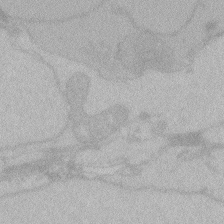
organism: Zebrafish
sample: Macrophage infected with Toxoplasma gondii